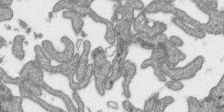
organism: Human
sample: Lung epithelial cells infected with SARS-CoV-2